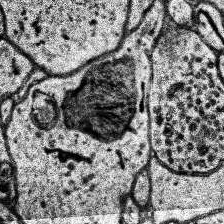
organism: Human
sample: Temporal Lobe